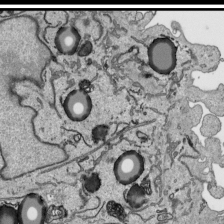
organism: Human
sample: Mitochondria in HCT116 cells